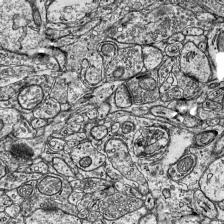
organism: Mouse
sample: Visual Cortex